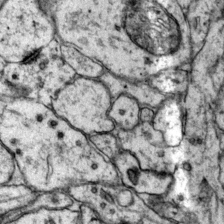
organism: Mouse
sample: Primary visual cortex